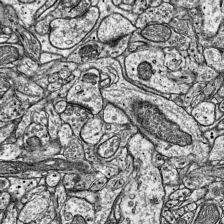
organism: Mouse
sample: Visual Cortex